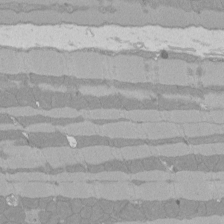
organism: Rat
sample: Left ventricle